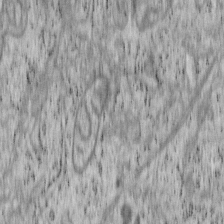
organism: Human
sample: HeLa cells